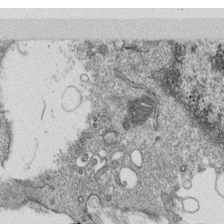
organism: African green monkey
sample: Vero E6 cells infected with SARS-CoV-2